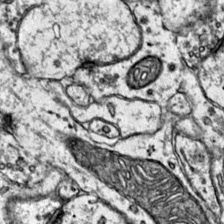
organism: Mouse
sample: Primary visual cortex